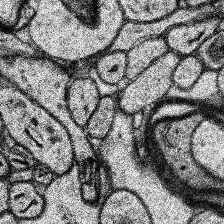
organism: Human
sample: Temporal Lobe